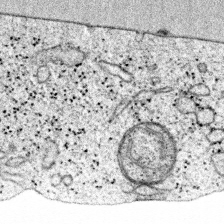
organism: Human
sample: HeLa cells